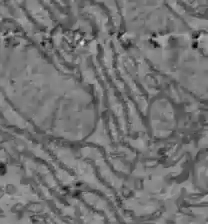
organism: C57BL Mouse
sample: Liver